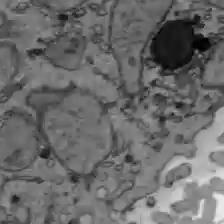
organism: C57BL Mouse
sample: Liver